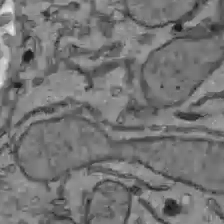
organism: C57BL Mouse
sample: Liver